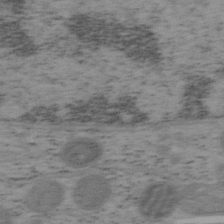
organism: Mouse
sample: OT-I killer T cells with ID8 ovarian cancer cells